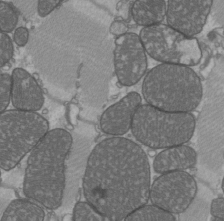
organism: C57BL Mouse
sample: Heart